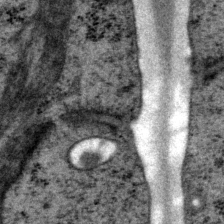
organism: P. pacificus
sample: Pharynx